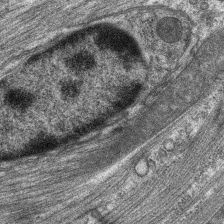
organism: C. elegans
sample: Pharynx